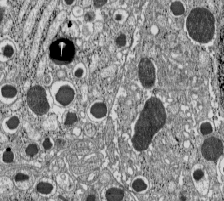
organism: C57BL Mouse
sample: Pancreatic islet